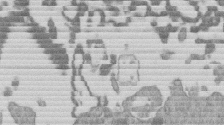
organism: Mouse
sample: Dividing mouse embryo 1 cell stage